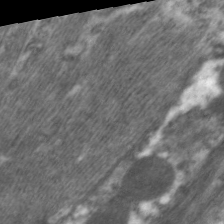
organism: C. elegans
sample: Pharynx